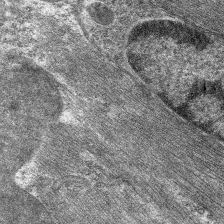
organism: C. elegans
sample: Pharynx